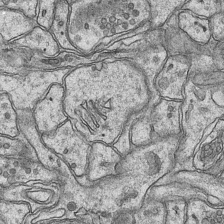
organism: Mouse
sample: CA1 Hippocampus